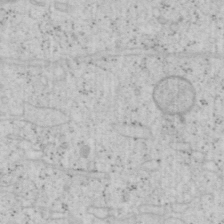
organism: Human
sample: HeLa cells